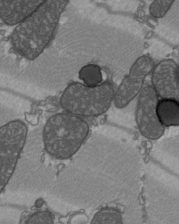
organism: C57BL Mouse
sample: Heart